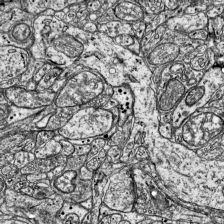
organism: Mouse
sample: Visual Cortex